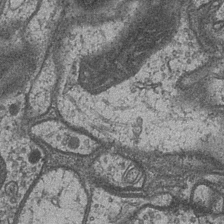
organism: Drosophila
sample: Optic medulla